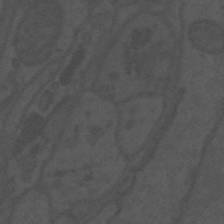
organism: Mouse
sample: Suprachiasmatic nucleus